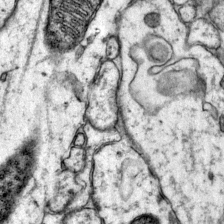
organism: Mouse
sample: Primary visual cortex